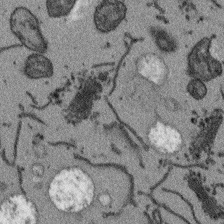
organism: Arabidopsis thaliana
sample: Root tip